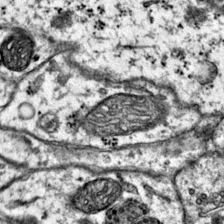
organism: Mouse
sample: Primary visual cortex